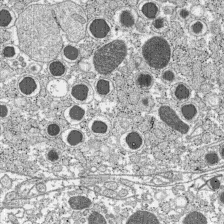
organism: C57BL Mouse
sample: Pancreatic islet